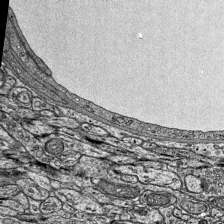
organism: Mouse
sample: Visual Cortex